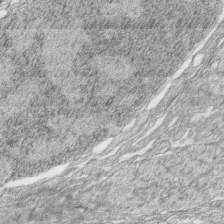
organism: Zebrafish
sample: synaptic ribbons in rod cells and cone cells